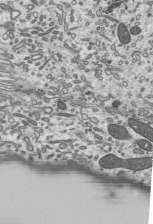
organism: Mouse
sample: Mouse epididymis efferent ductule cilia